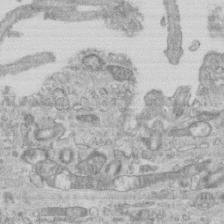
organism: Mouse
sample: Centriole in ependymal cells